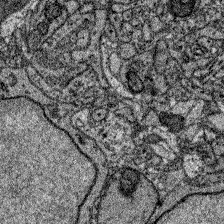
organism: Zebrafish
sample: Larval olfactory bulb